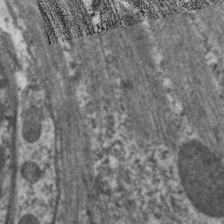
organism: C. elegans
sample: Pharynx